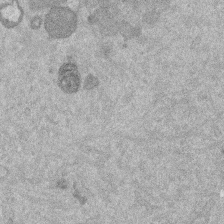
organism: Mouse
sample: Dividing mouse embryo 1 cell stage